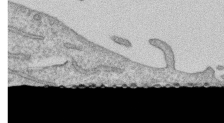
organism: Human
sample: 1205lu cells